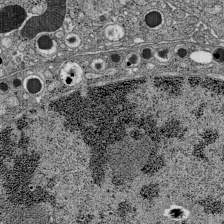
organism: C57BL Mouse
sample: Pancreatic islet